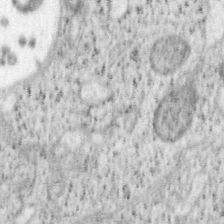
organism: Mouse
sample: OT-I killer T cells with ID8 ovarian cancer cells